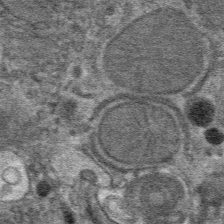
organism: Mouse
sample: Mouse hepatocytes